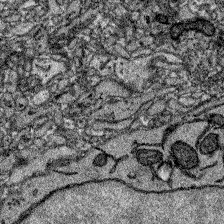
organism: Zebrafish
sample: Larval olfactory bulb